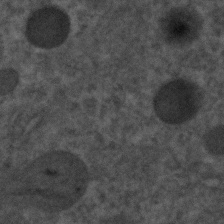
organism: C. elegans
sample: C. elegans embryo